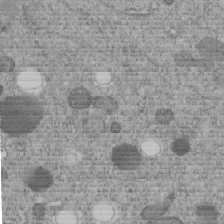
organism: C. elegans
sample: C. elegans embryo early stage